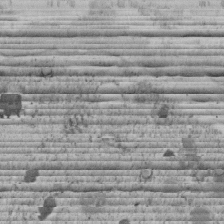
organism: C. elegans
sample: C. elegans embryo early stage